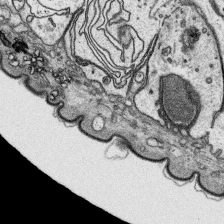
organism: Platynereis dumerilii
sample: Parapodia